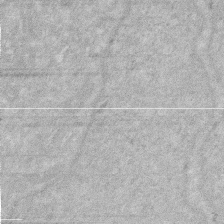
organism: Human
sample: HIV infected U937 cells